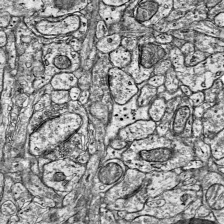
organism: Mouse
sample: Visual Cortex